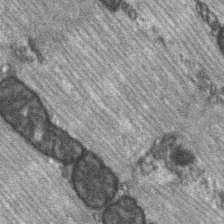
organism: C57BL Mouse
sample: Soleus